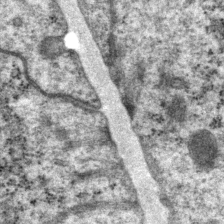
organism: P. pacificus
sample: Pharynx